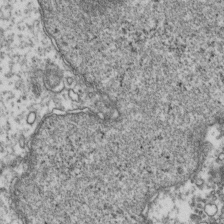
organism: Human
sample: Activated Jurkat CD4+ T cells